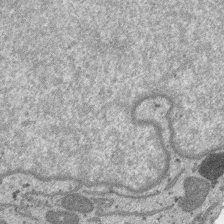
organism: Human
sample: Lung epithelial cells infected with SARS-CoV-2